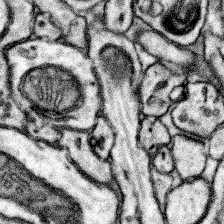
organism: Mouse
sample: Somatosensory cortex neuropil